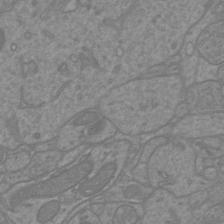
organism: Mouse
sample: Cortical neurons